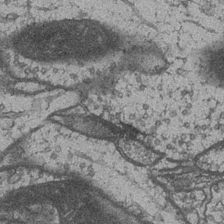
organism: Drosophila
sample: Optic medulla